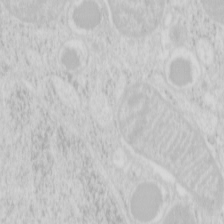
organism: Mouse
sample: Pancreas